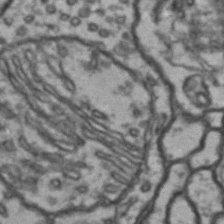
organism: Drosophila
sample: Brain